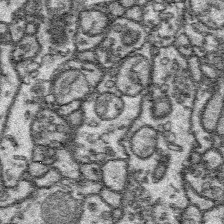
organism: Platynereis dumerilii